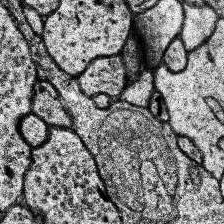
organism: Human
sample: Temporal Lobe